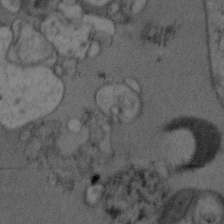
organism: Human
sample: HeLa cells